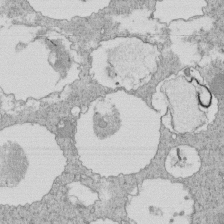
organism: Tetrahymena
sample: Cilia in tetrahymena